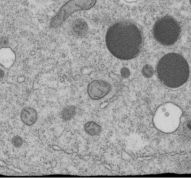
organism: C. elegans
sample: C. elegans embryo early stage